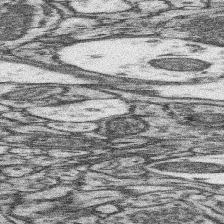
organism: Mouse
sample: Somatosensory cortex neuropil